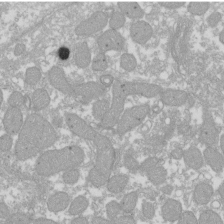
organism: Xenopus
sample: Cilia; centrioles in frog embryo cells